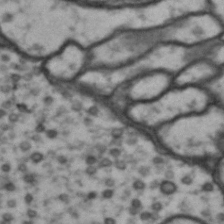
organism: Drosophila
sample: Brain